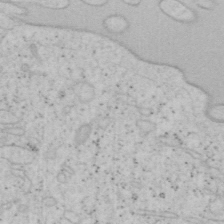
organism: Human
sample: HeLa cells